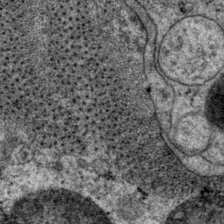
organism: P. pacificus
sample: Pharynx